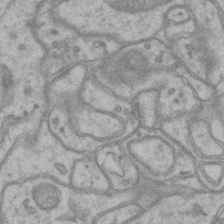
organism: Mouse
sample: CA1 Hippocampus